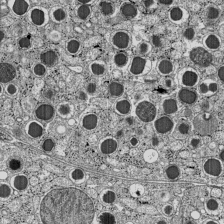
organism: C57BL Mouse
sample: Pancreatic islet